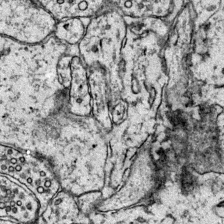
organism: Mouse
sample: Primary visual cortex